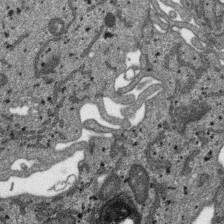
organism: Human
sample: Lung epithelial cells infected with SARS-CoV-2